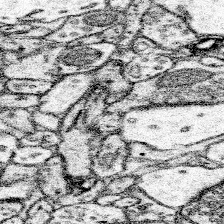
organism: Mouse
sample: Somatosensory cortex neuropil